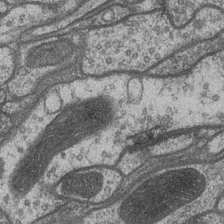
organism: Drosophila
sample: Optic medulla